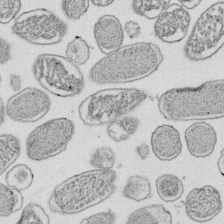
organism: E. coli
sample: Bacterial nucleoid